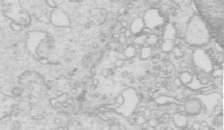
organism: Mouse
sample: Multiciliated cells